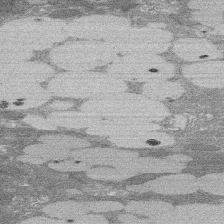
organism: Rat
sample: Salivary granule